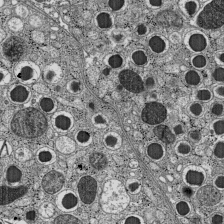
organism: C57BL Mouse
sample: Pancreatic islet